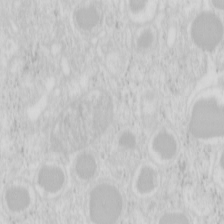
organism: Mouse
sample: Pancreas